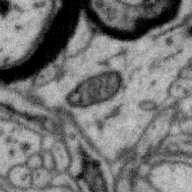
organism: Zebra finch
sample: Brain